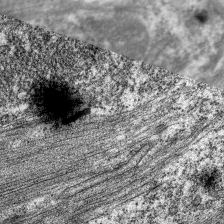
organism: C. elegans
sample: Pharynx